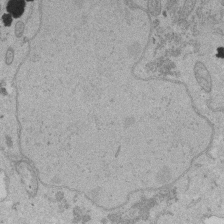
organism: Human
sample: Activated Jurkat CD4+ T cells